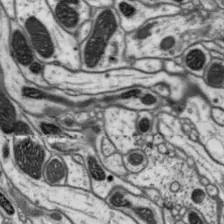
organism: Drosophila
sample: Protocerebral bridge